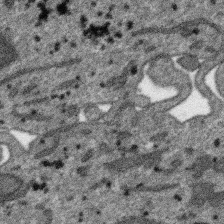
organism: Human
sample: Lung epithelial cells infected with SARS-CoV-2